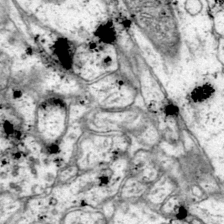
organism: Mouse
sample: Primary visual cortex